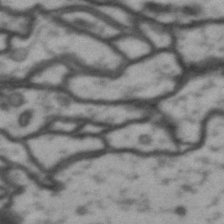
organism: Drosophila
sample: Brain